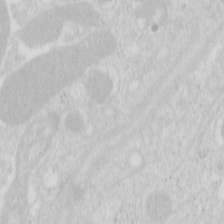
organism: Mouse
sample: Pancreas